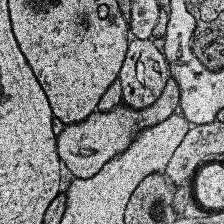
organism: Human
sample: Temporal Lobe